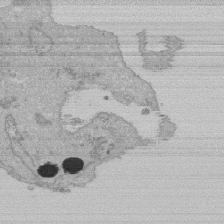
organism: Human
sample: Activated Jurkat CD4+ T cells